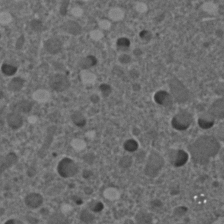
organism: C. elegans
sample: C. elegans embryo